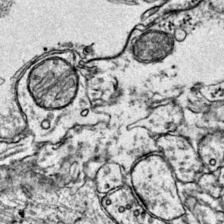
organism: Mouse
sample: Primary visual cortex